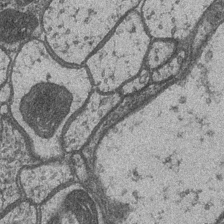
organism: Drosophila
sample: Optic medulla